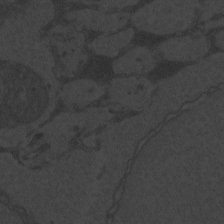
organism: Zebrafish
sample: Macrophage infected with Toxoplasma gondii